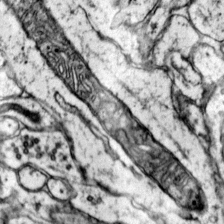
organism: Mouse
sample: Primary visual cortex